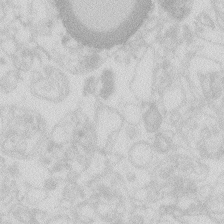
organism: Zebrafish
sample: Macrophage